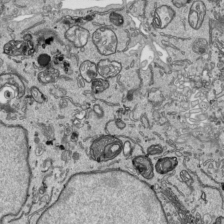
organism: Human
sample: Mitochondria in HCT116 cells